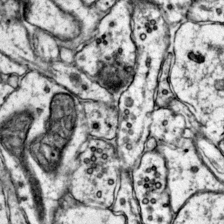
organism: Mouse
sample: Primary visual cortex